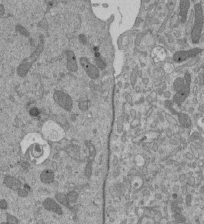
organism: Mouse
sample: ED-1 cell nuclei; centrioles